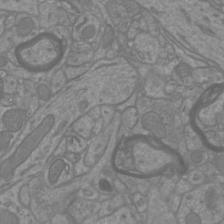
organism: Mouse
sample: Cortical neurons